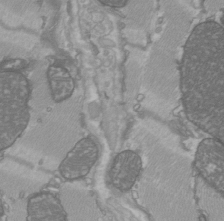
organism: C57BL Mouse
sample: Heart